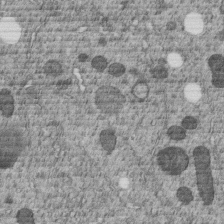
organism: C. elegans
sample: C. elegans embryo early stage